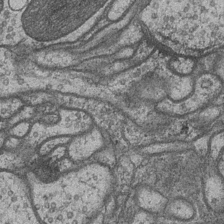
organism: Drosophila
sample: Optic medulla